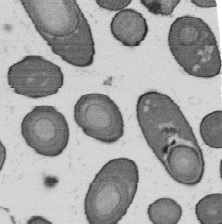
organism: B. subtilis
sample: Bacterial spore